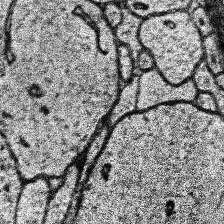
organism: Human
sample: Temporal Lobe